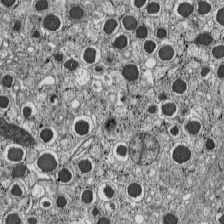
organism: C57BL Mouse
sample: Pancreatic islet